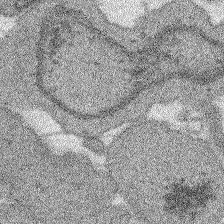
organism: Human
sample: HeLa cells